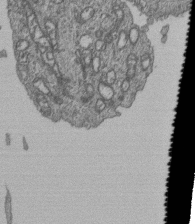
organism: Human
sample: Retinal organoid Rod and Cone cells